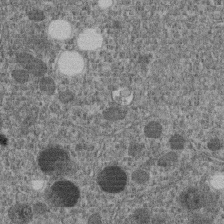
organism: C. elegans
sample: C. elegans embryo early stage